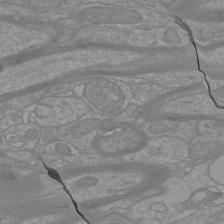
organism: Mouse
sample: Cortical neurons